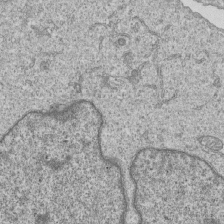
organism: Human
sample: MDA-MB-231 cells